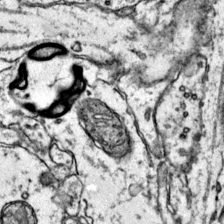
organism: Mouse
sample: Primary visual cortex